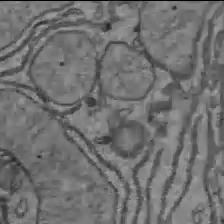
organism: C57BL Mouse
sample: Liver